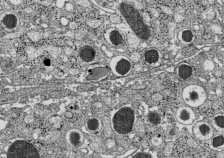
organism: C57BL Mouse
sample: Pancreatic islet